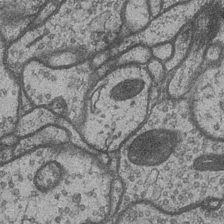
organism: Drosophila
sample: Optic medulla